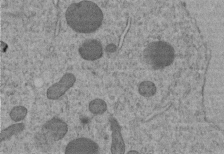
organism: C. elegans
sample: C. elegans embryo early stage